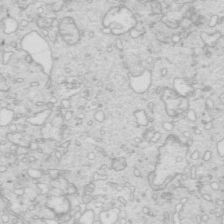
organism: Mouse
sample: Multiciliated cells